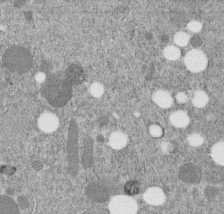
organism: C. elegans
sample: C. elegans embryo early stage